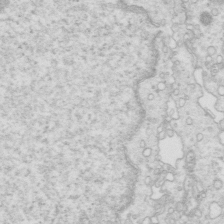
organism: Mouse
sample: Multiciliated cells